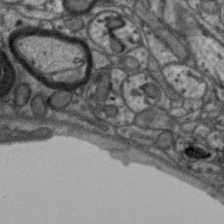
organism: Zebra finch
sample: Brain